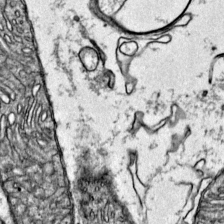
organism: Mouse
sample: Primary visual cortex